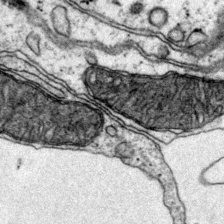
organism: Mouse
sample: Primary visual cortex